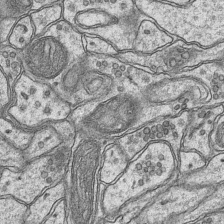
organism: Mouse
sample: CA1 Hippocampus